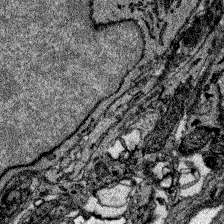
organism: Zebrafish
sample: Larval olfactory bulb